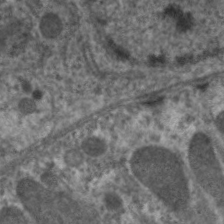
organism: C. elegans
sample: Pharynx